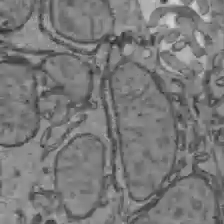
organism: C57BL Mouse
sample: Liver